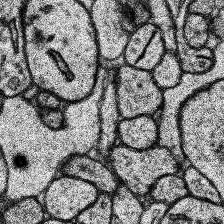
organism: Human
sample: Temporal Lobe